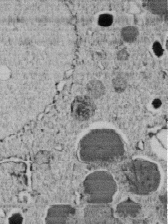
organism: C. elegans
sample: C. elegans embryo early stage